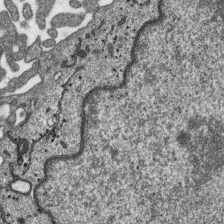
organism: Human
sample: Lung epithelial cells infected with SARS-CoV-2